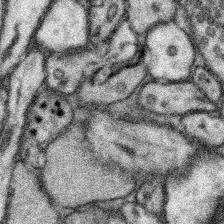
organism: Mouse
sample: Somatosensory cortex neuropil